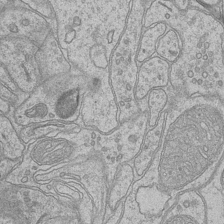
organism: Mouse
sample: CA1 Hippocampus